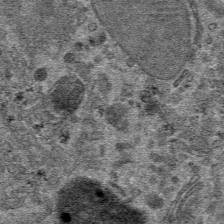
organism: Mouse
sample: Mouse hepatocytes